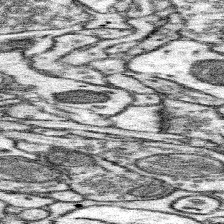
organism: Mouse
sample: Somatosensory cortex neuropil